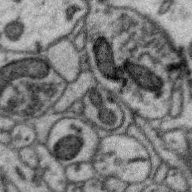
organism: Zebra finch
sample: Brain